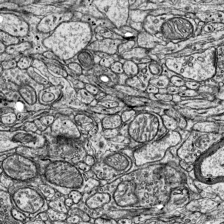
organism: Mouse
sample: Visual Cortex